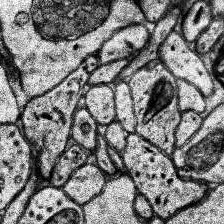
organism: Human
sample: Temporal Lobe